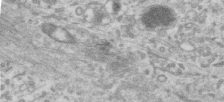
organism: Human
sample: Centriole in RPE cells